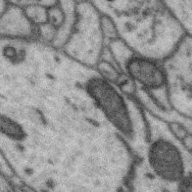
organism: Zebra finch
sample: Brain